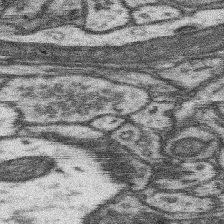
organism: Mouse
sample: Somatosensory cortex neuropil